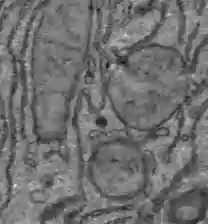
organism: C57BL Mouse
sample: Liver